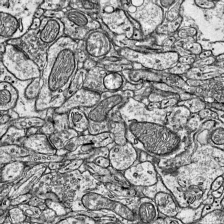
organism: Mouse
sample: Visual Cortex